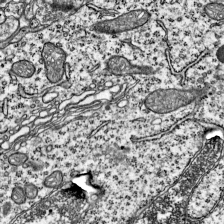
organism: Mouse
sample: Visual Cortex